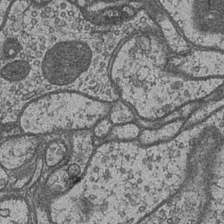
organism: Drosophila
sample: Optic medulla